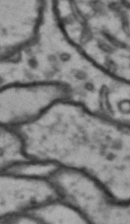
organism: Drosophila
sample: Brain